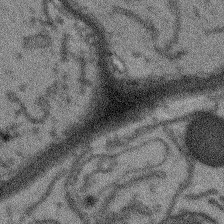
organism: Arabidopsis thaliana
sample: Root tip